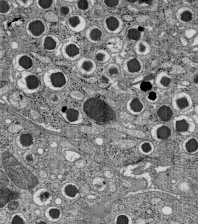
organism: C57BL Mouse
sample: Pancreatic islet